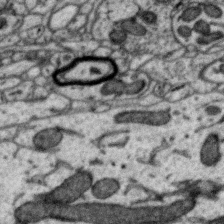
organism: Zebra finch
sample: Brain